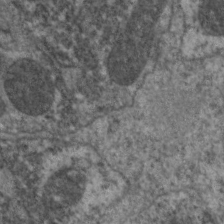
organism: C. elegans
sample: Pharynx